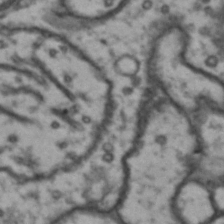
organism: Drosophila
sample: Brain